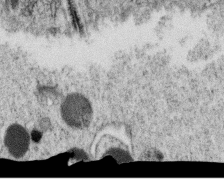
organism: C. elegans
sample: C. elegans oocyte; sperm cells